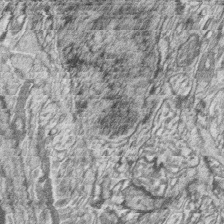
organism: Zebrafish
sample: synaptic ribbons in rod cells and cone cells